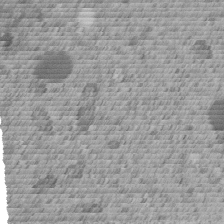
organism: C. elegans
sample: C. elegans embryo early stage